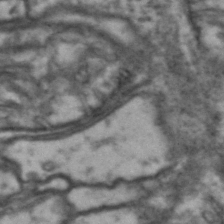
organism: Drosophila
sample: Brain